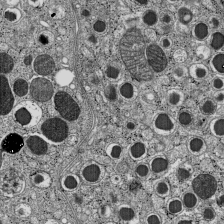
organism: C57BL Mouse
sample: Pancreatic islet